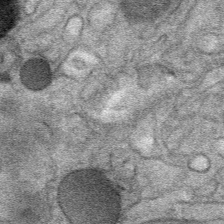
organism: Mouse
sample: Mouse Salivary gland